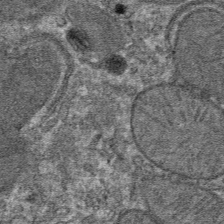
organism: Mouse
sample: Mouse hepatocytes